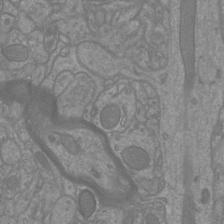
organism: Mouse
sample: Cortical neurons